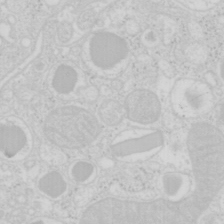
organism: Mouse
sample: Pancreas